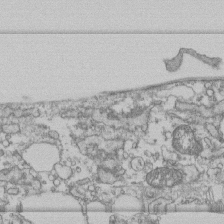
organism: Human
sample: Fibroblast cells